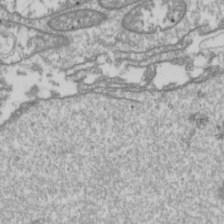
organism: Drosophila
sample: Cell division; meiosis; drosophila spermatocytes